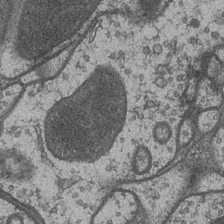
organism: Drosophila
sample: Optic medulla